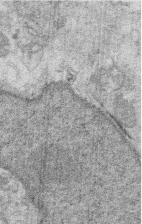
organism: Mouse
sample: Multiciliated cells